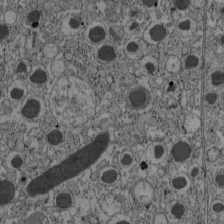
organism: C57BL Mouse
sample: Pancreatic islet